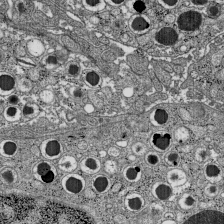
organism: C57BL Mouse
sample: Pancreatic islet